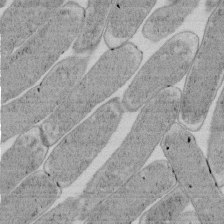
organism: E. coli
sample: Bacterial nucleoid